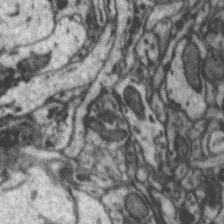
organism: Zebra finch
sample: Brain